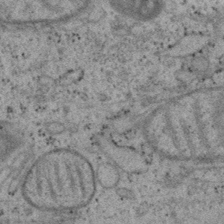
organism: Human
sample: HeLa cells